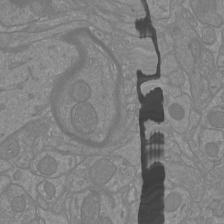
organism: Mouse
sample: Cortical neurons